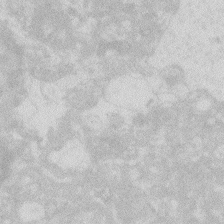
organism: Zebrafish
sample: Macrophage